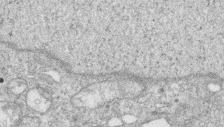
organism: Human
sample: HeLa cell HIV synapse